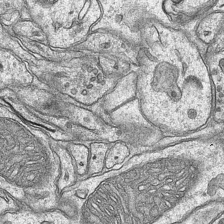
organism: Mouse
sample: CA1 Hippocampus